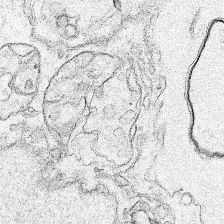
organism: Human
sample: Mitochondria in HCT116 cells